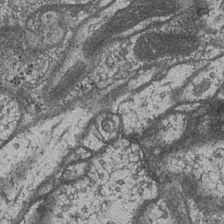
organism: Drosophila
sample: Optic medulla